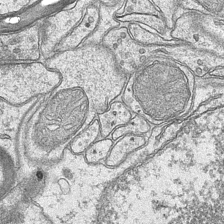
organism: Mouse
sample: CA1 Hippocampus